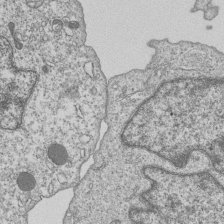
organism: Human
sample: MDA-MB-231 cells